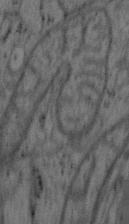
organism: Human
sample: HeLa cells